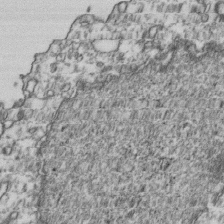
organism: Human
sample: Activated Jurkat CD4+ T cells